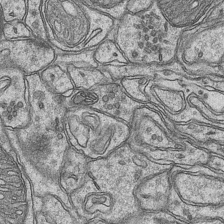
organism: Mouse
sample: CA1 Hippocampus